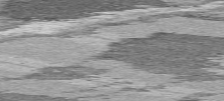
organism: C57BL Mouse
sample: Heart